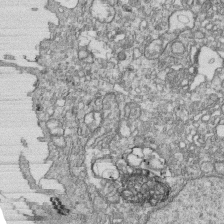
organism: Human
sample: HeLa cell HIV synapse